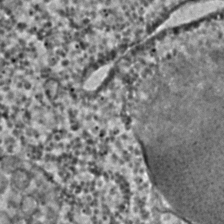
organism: C. elegans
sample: C. elegans embryo